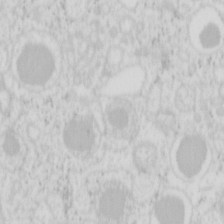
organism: Mouse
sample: Pancreas